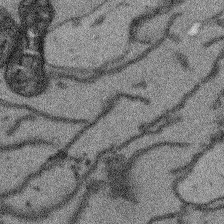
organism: Arabidopsis thaliana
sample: Root tip